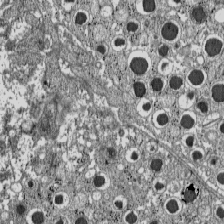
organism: C57BL Mouse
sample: Pancreatic islet